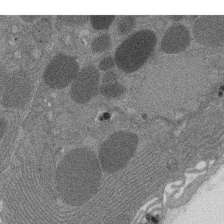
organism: Rat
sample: Salivary granule